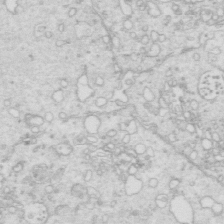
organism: Mouse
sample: Multiciliated cells